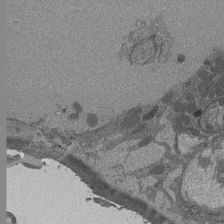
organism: Drosophila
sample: Antenna